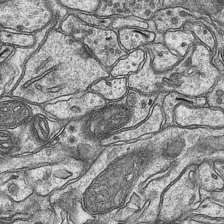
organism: Mouse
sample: CA1 Hippocampus